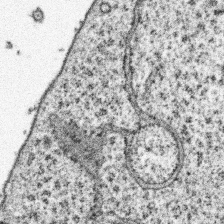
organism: Human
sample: HeLa cells